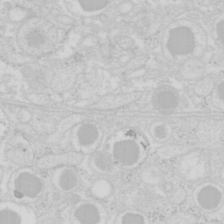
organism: Mouse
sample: Pancreas